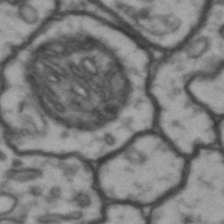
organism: Drosophila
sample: Brain